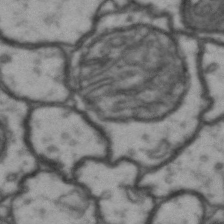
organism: Drosophila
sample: Brain